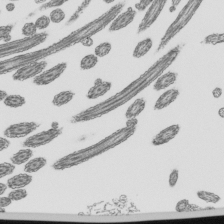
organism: Mouse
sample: Mouse epididymis efferent ductule cilia